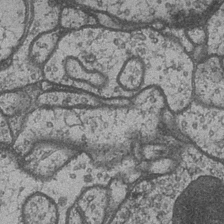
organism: Drosophila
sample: Optic medulla